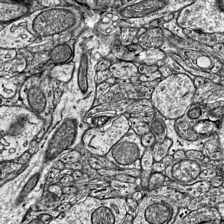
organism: Mouse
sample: Visual Cortex